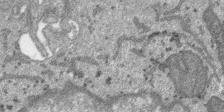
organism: Human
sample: Lung epithelial cells infected with SARS-CoV-2